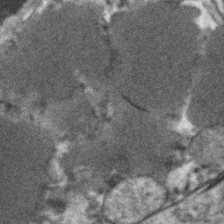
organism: Human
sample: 1205lu cells